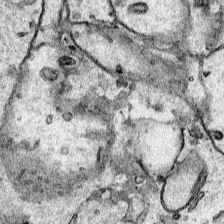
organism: Human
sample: Mitochondria in HCT116 cells